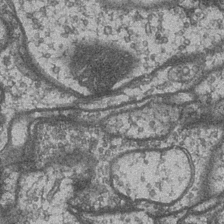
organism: Drosophila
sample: Optic medulla